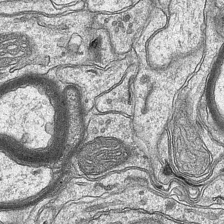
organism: Mouse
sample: CA1 Hippocampus